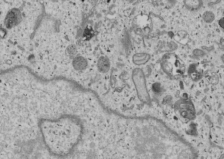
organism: Human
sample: Mitochondria in U2OS cells